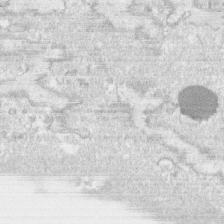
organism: Human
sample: CRL-1474